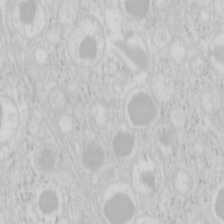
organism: Mouse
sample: Pancreas